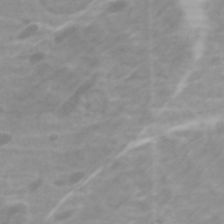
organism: Zebrafish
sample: Zebrafish embryo